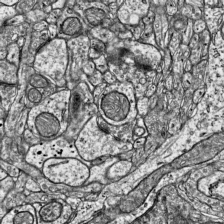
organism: Mouse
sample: Visual Cortex